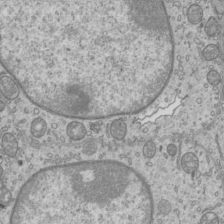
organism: Mouse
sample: Cilia; mouse epididymis